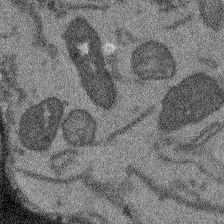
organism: Arabidopsis thaliana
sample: Root tip